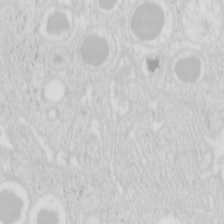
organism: Mouse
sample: Pancreas